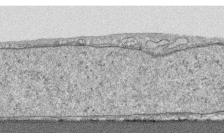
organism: Human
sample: CRL-1474